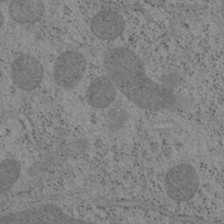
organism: Mouse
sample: OT-I killer T cells with ID8 ovarian cancer cells